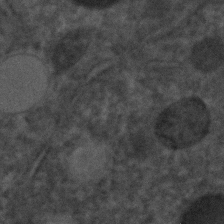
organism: C. elegans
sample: C. elegans embryo